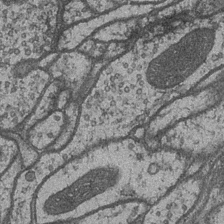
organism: Drosophila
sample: Optic medulla